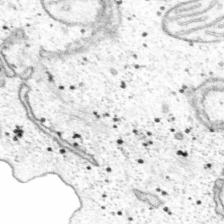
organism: Human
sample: HeLa cells